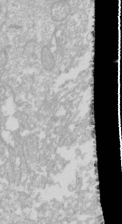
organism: Drosophila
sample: Cell division; meiosis; drosophila spermatocytes